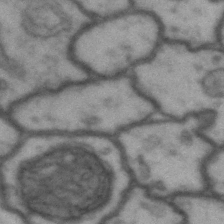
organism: Drosophila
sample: Brain